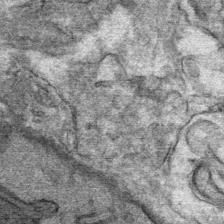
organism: Mouse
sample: Mouse Salivary gland